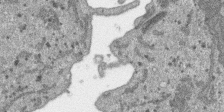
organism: Human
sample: Lung epithelial cells infected with SARS-CoV-2